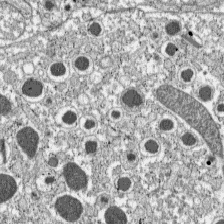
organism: C57BL Mouse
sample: Pancreatic islet